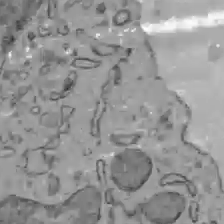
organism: C57BL Mouse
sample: Liver